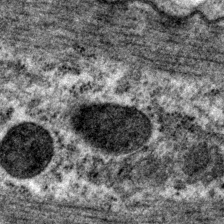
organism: P. pacificus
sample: Pharynx